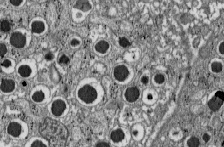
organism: C57BL Mouse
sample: Pancreatic islet